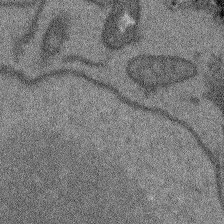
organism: Arabidopsis thaliana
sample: Root tip